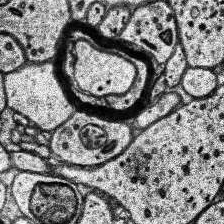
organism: Human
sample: Temporal Lobe